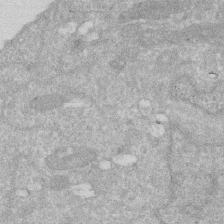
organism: Human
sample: HIV infected U937 cells